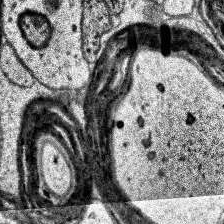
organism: Human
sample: Temporal Lobe